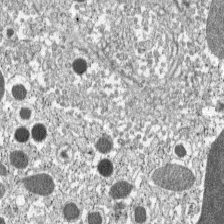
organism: C57BL Mouse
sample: Pancreatic islet